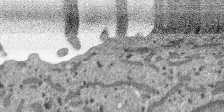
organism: Human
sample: Lung epithelial cells infected with SARS-CoV-2